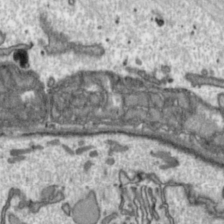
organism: Toxoplasma gondii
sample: Parasites in a vacuole inside a host cell